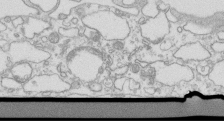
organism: Mouse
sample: Macrophages